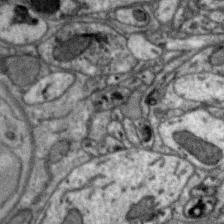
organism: Zebra finch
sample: Brain